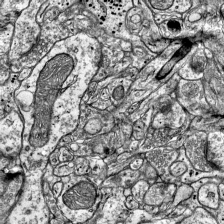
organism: Mouse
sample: Visual Cortex